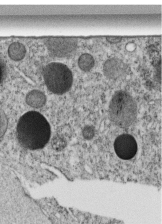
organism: C. elegans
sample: C. elegans embryo early stage